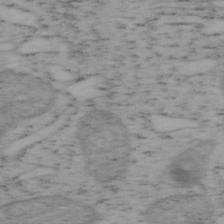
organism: Mouse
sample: OT-I killer T cells with ID8 ovarian cancer cells